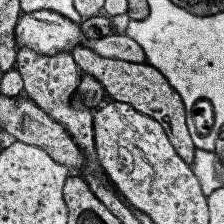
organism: Human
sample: Temporal Lobe